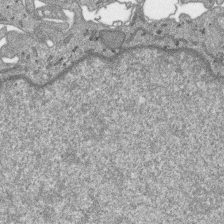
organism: Human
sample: Lung epithelial cells infected with SARS-CoV-2